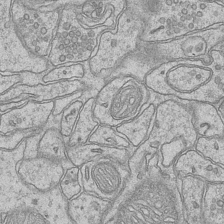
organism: Mouse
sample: CA1 Hippocampus